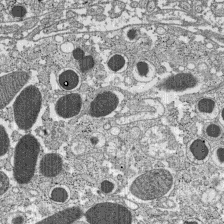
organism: C57BL Mouse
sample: Pancreatic islet